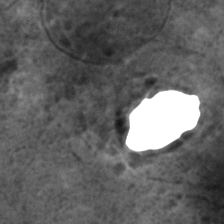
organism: C. elegans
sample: C. elegans embryo